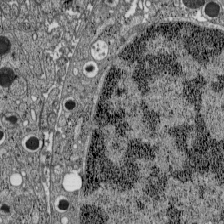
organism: C57BL Mouse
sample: Pancreatic islet